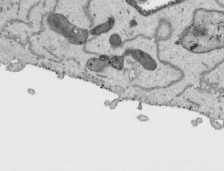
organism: Human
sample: Mitochondria in HCT116 cells